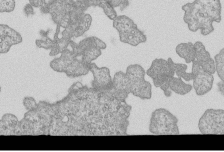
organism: Human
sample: MDA-MB-231 cells